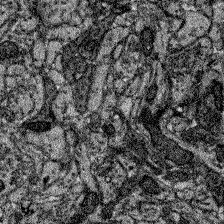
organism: Zebrafish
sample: Larval olfactory bulb